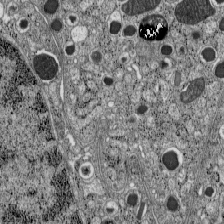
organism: C57BL Mouse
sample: Pancreatic islet